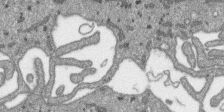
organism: Human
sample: Lung epithelial cells infected with SARS-CoV-2